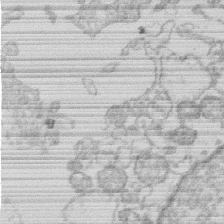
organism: Human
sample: Macrophage cells